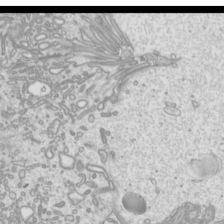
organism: Mouse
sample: Cilia; mouse epididymis